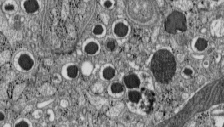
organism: C57BL Mouse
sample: Pancreatic islet